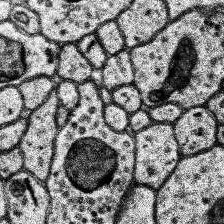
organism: Human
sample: Temporal Lobe